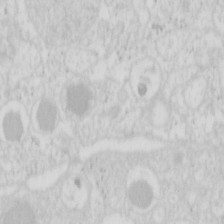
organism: Mouse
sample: Pancreas